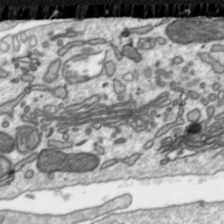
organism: Toxoplasma gondii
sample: Parasites in a vacuole inside a host cell